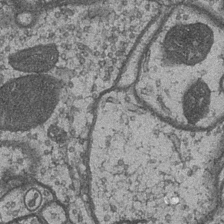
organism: Drosophila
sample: Optic medulla